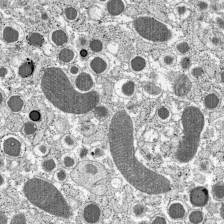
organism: C57BL Mouse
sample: Pancreatic islet